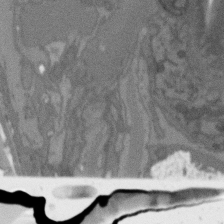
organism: C. elegans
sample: AFD neurons C. elegans